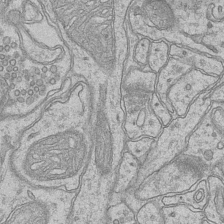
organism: Mouse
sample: CA1 Hippocampus